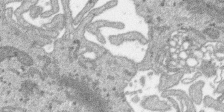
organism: Human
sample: Lung epithelial cells infected with SARS-CoV-2